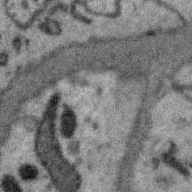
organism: Zebra finch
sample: Brain